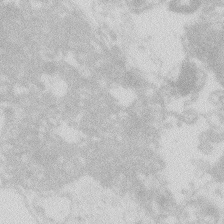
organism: Zebrafish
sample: Macrophage